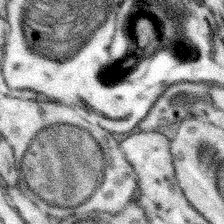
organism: Mouse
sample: Somatosensory cortex neuropil